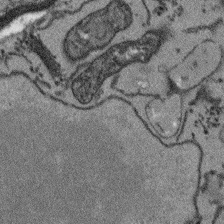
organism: Arabidopsis thaliana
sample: Root tip